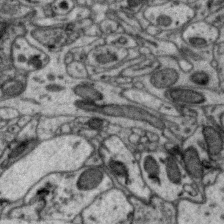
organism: Zebra finch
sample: Brain